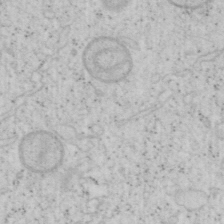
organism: Human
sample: HeLa cells